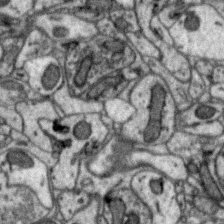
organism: Zebra finch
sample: Brain